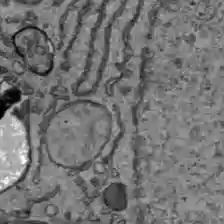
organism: C57BL Mouse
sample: Liver